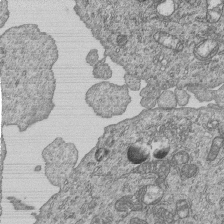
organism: Human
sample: MDA-MB-231 cells